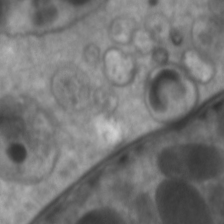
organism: C. elegans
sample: Pharynx